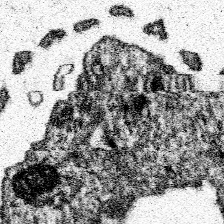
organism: Spongilla lacustris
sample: Neuroid cell